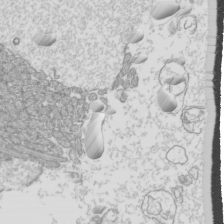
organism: Mouse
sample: Cilia; mouse epididymis